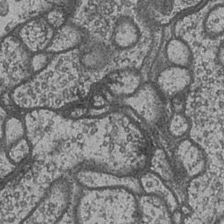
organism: Drosophila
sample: Optic medulla